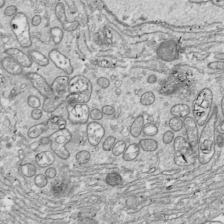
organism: Drosophila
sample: Cell division; meiosis; drosophila spermatocytes